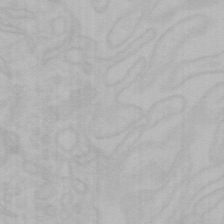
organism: Mouse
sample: Choroid plexus